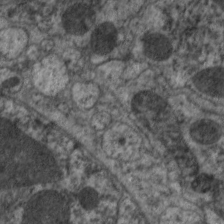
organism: C. elegans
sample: Pharynx